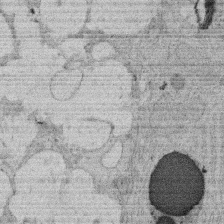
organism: Rat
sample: Salivary granule